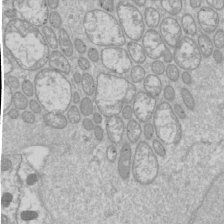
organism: Drosophila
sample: Cell division; meiosis; drosophila spermatocytes